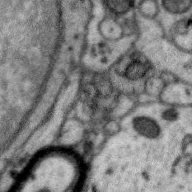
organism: Zebra finch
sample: Brain